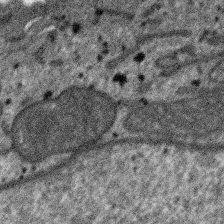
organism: Human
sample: Lung epithelial cells infected with SARS-CoV-2